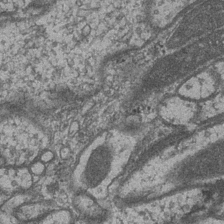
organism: Drosophila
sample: Optic medulla